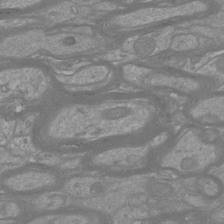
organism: Mouse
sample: Cortical neurons